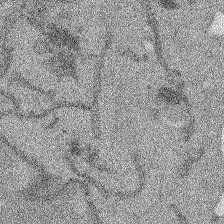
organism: Human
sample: HeLa cells